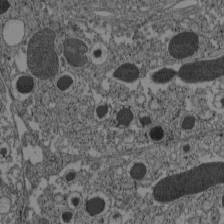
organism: C57BL Mouse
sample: Pancreatic islet